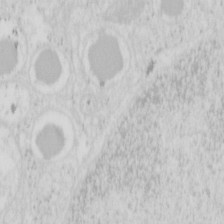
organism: Mouse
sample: Pancreas